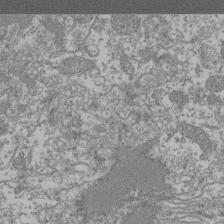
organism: Mouse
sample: Glomerulus